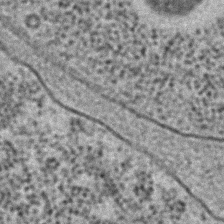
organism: C. elegans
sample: C. elegans embryo